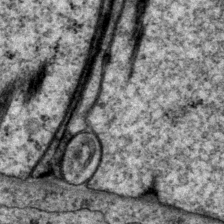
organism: P. pacificus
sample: Pharynx